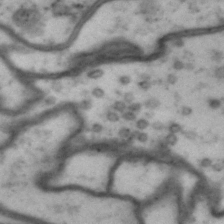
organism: Drosophila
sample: Brain